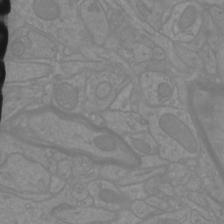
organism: Mouse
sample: Cortical neurons